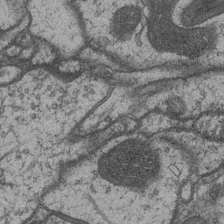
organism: Drosophila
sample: Optic medulla